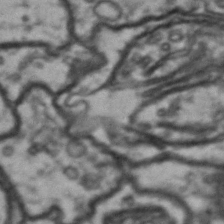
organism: Drosophila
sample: Brain